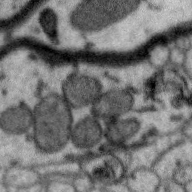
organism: Zebra finch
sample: Brain